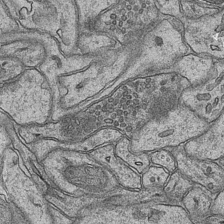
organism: Mouse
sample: CA1 Hippocampus